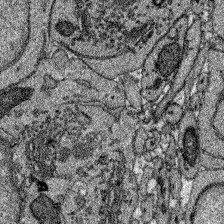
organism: Zebrafish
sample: Larval olfactory bulb